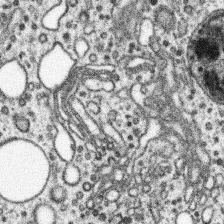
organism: Human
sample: HeLa cells